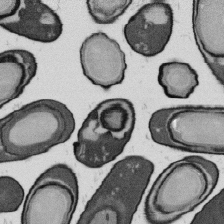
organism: B. subtilis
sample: Bacterial spore